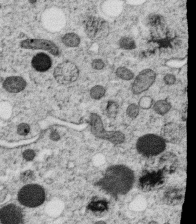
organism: C. elegans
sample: C. elegans oocyte; sperm cells